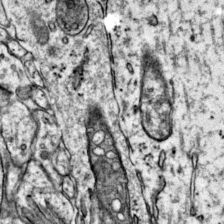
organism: Mouse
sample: Primary visual cortex